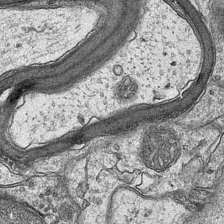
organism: Mouse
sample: CA1 Hippocampus